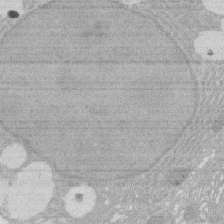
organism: Rat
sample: Salivary granule